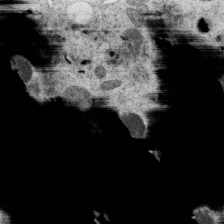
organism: C. elegans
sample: C. elegans oocyte; sperm cells